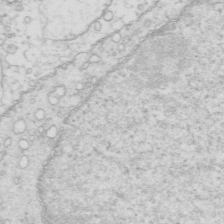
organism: Mouse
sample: Multiciliated cells